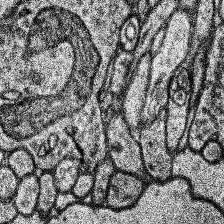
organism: Human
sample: Temporal Lobe